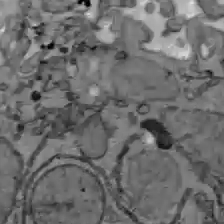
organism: C57BL Mouse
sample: Liver